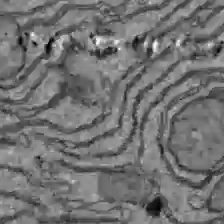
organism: C57BL Mouse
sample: Liver